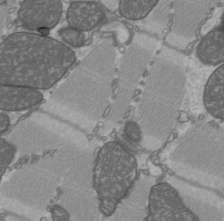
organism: C57BL Mouse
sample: Heart